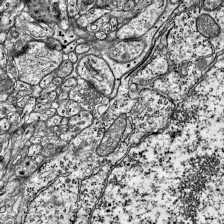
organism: Mouse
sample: Visual Cortex